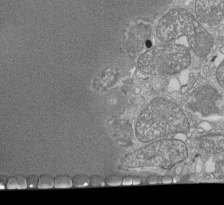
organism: Tetrahymena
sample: Cilia in tetrahymena